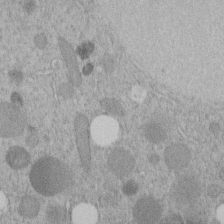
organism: C. elegans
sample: C. elegans embryo early stage